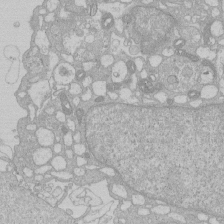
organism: Human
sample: Macrophage cells